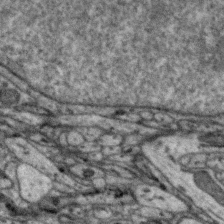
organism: Zebra finch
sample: Brain